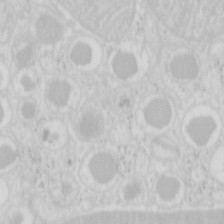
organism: Mouse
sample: Pancreas